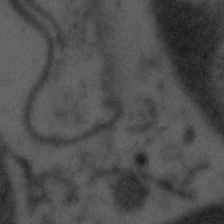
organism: Tuwongella immobilis